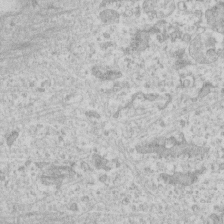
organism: Human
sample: Fibroblast cells